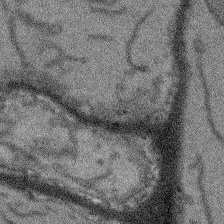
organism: Arabidopsis thaliana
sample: Root tip